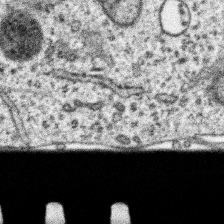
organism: Human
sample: HeLa cells